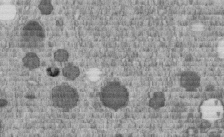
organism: C. elegans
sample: C. elegans embryo early stage